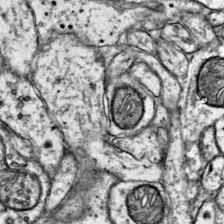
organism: Mouse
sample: Primary visual cortex